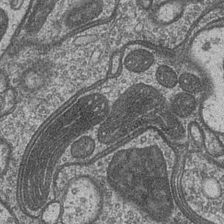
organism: Drosophila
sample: Optic medulla